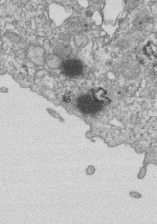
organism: Human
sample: HeLa cell HIV synapse